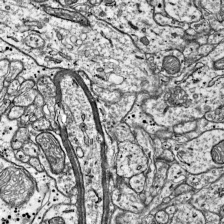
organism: Mouse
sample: Visual Cortex